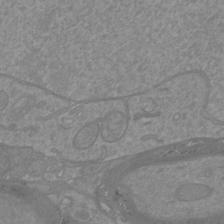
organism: Mouse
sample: Cortical neurons